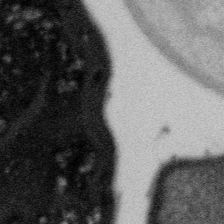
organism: Gemmata obscuriglobus